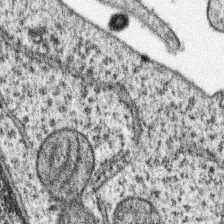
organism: Human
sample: HeLa cells